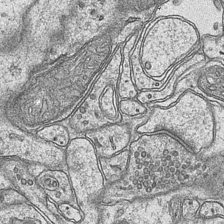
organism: Mouse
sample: CA1 Hippocampus